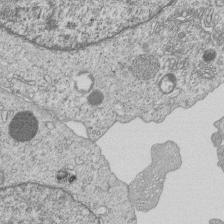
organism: Human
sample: MDA-MB-231 cells